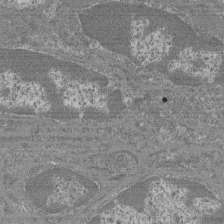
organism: Mouse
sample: Glomerulus